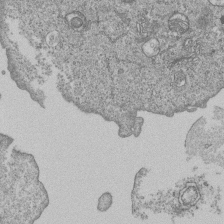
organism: Human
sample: MDA-MB-231 cells